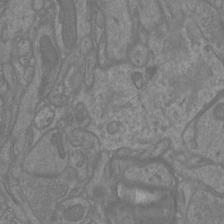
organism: Mouse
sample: Cortical neurons